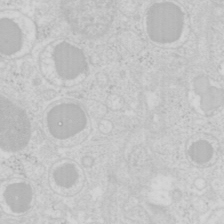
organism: Mouse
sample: Pancreas